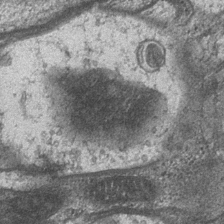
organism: Drosophila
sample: Optic medulla